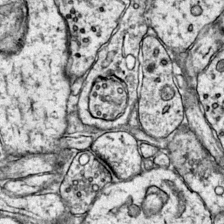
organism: Mouse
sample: Primary visual cortex